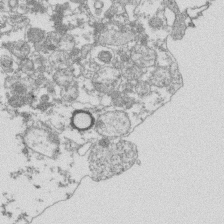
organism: Human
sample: HeLa cell HIV synapse